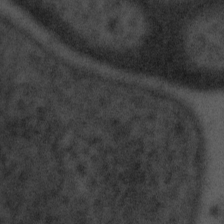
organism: Tuwongella immobilis